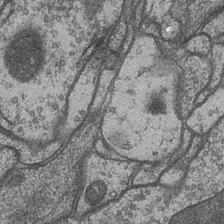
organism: Drosophila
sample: Optic medulla